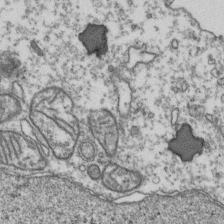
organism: Human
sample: Activated Jurkat CD4+ T cells